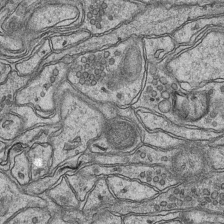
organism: Mouse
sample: CA1 Hippocampus